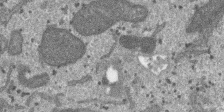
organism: Human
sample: Lung epithelial cells infected with SARS-CoV-2